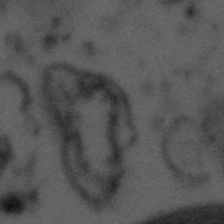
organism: Tuwongella immobilis